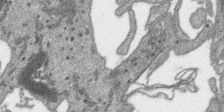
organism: Human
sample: Lung epithelial cells infected with SARS-CoV-2